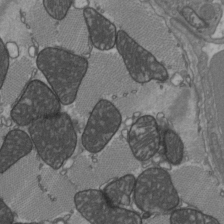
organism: C57BL Mouse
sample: Heart